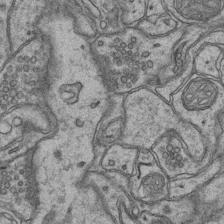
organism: Mouse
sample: CA1 Hippocampus